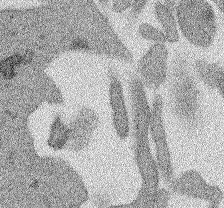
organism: Human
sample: HeLa cells